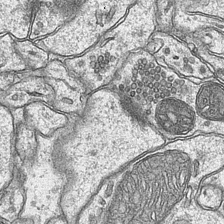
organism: Mouse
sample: CA1 Hippocampus